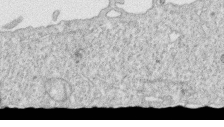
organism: Human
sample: HeLa cell HIV synapse